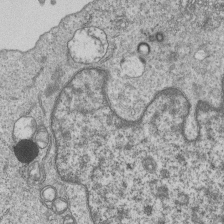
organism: Human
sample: MDA-MB-231 cells